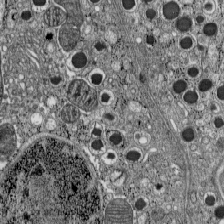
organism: C57BL Mouse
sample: Pancreatic islet